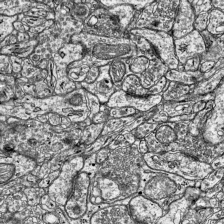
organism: Mouse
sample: Visual Cortex